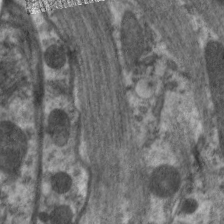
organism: C. elegans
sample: Pharynx